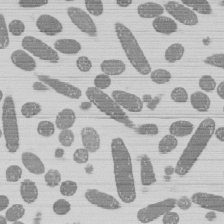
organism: E. coli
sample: Bacterial nucleoid